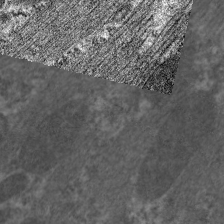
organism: C. elegans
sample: Pharynx